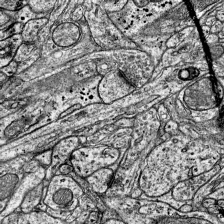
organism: Mouse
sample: Visual Cortex